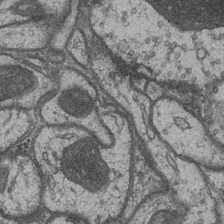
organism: Drosophila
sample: Optic medulla